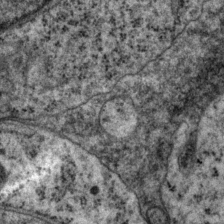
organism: P. pacificus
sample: Pharynx